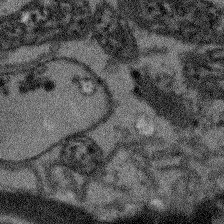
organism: Arabidopsis thaliana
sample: Root tip